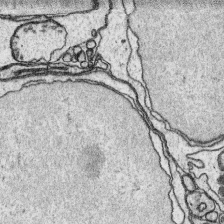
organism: Platynereis dumerilii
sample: Parapodia